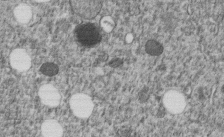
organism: C. elegans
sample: C. elegans embryo early stage